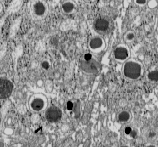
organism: C57BL Mouse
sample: Pancreatic islet